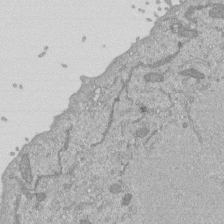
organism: Mouse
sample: ED-1 cell nuclei; centrioles